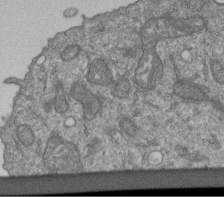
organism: Human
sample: Retinal organoid Rod and Cone cells